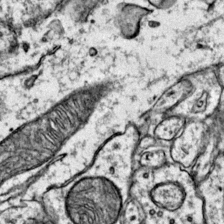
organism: Mouse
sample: Primary visual cortex